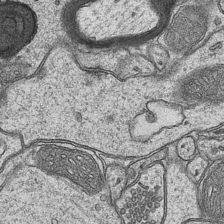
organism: Mouse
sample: CA1 Hippocampus